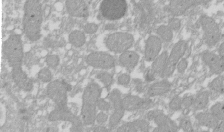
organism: Xenopus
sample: Cilia; centrioles in frog embryo cells